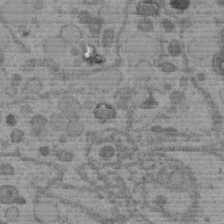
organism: C. elegans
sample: C. elegans embryo early stage